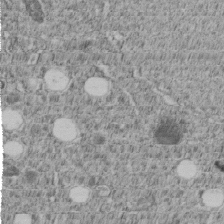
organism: C. elegans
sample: C. elegans embryo early stage